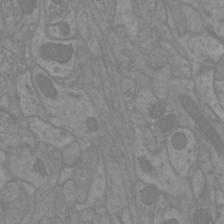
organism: Mouse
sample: Cortical neurons